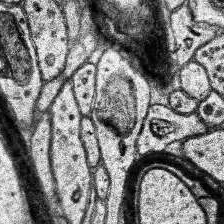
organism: Human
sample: Temporal Lobe